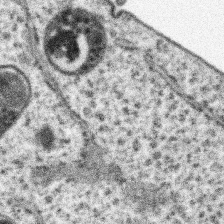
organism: Human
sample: HeLa cells